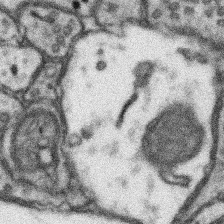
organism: Mouse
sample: Somatosensory cortex neuropil